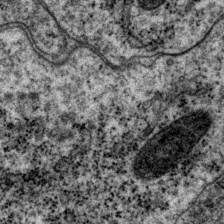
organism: P. pacificus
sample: Pharynx